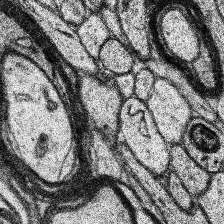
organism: Human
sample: Temporal Lobe